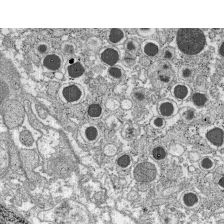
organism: C57BL Mouse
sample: Pancreatic islet